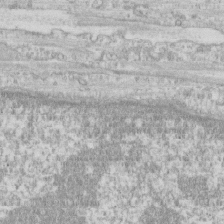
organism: Human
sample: CRL-1474